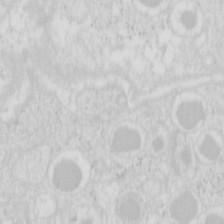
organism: Mouse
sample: Pancreas